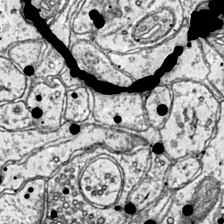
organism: Mouse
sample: Primary visual cortex